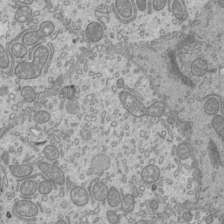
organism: Mouse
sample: Cilia; mouse epididymis